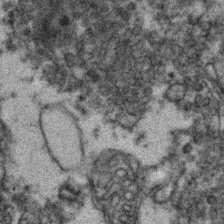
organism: Zebrafish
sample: Zebrafish embryo